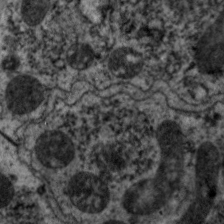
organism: C. elegans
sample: Pharynx